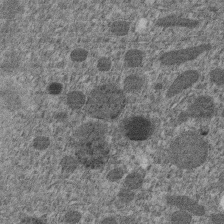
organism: C. elegans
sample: C. elegans embryo early stage